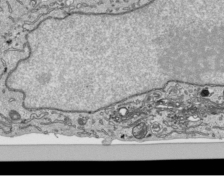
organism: Human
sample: Mitochondria in HCT116 cells